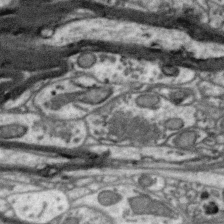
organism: Zebra finch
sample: Brain